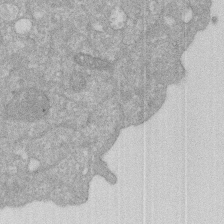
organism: Human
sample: HIV infected U937 cells